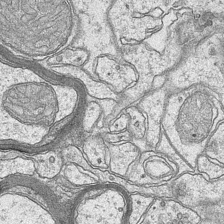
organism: Mouse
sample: CA1 Hippocampus